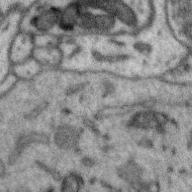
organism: Zebra finch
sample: Brain